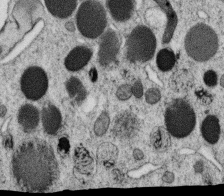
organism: C. elegans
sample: C. elegans oocyte; sperm cells